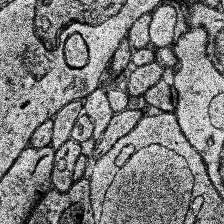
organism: Human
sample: Temporal Lobe